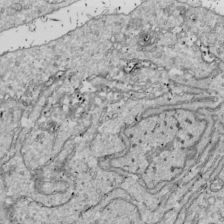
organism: Drosophila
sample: Cell division; meiosis; drosophila spermatocytes